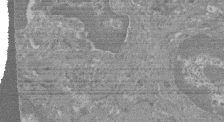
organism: Mouse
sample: Glomerulus